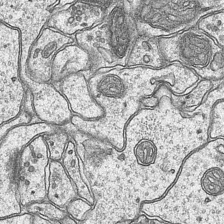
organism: Mouse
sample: CA1 Hippocampus